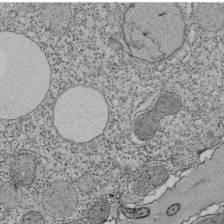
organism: Tetrahymena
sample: Cilia in tetrahymena